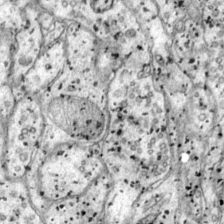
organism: Mouse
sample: Primary visual cortex